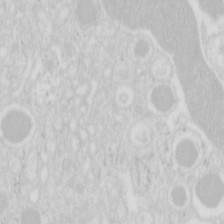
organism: Mouse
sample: Pancreas